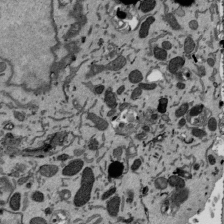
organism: Mouse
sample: ED-1 cell nuclei; centrioles